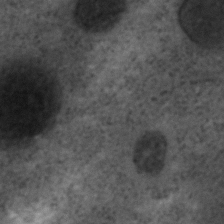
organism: C. elegans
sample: C. elegans embryo